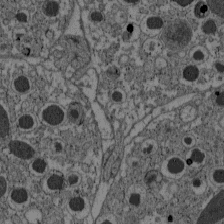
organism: C57BL Mouse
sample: Pancreatic islet